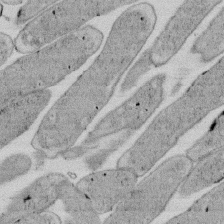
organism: E. coli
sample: Bacterial nucleoid